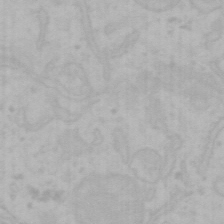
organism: Mouse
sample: Choroid plexus